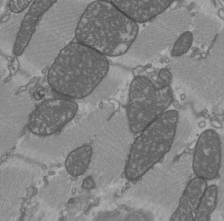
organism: C57BL Mouse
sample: Heart